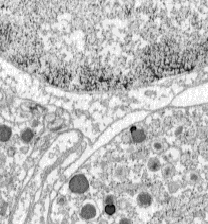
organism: C57BL Mouse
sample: Pancreatic islet